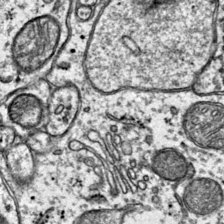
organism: Mouse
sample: Primary visual cortex